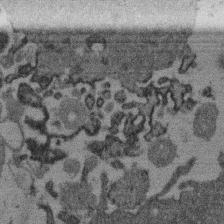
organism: Mouse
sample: Dividing mouse embryo 1 cell stage